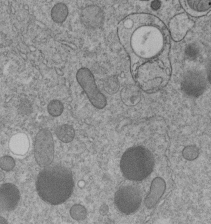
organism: C. elegans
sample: C. elegans embryo early stage